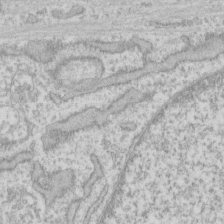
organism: Human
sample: Fibroblast cells